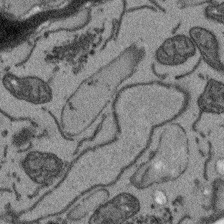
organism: Arabidopsis thaliana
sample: Root tip